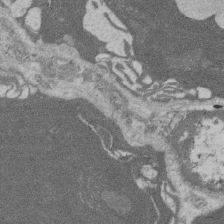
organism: Rat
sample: Salivary granule